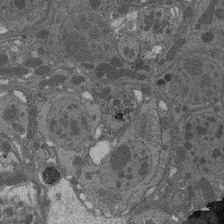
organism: Drosophila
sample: Antenna